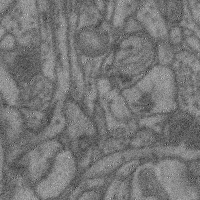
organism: Mouse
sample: Cerebral cortex